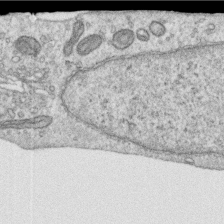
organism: Human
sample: Centriole in RPE cells